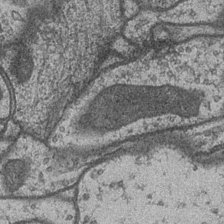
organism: Drosophila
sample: Optic medulla